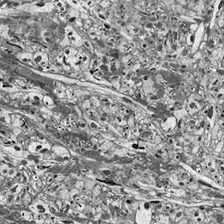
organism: Drosophila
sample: Optic lobe